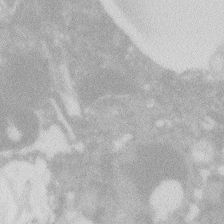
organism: Zebrafish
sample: Macrophage